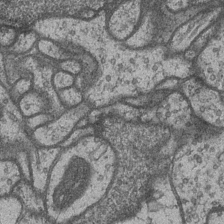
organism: Drosophila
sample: Optic medulla